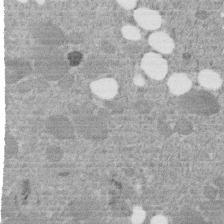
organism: C. elegans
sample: C. elegans embryo early stage